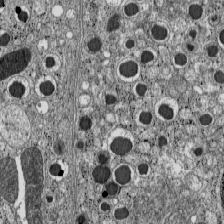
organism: C57BL Mouse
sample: Pancreatic islet